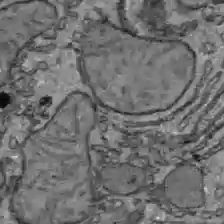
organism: C57BL Mouse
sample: Liver